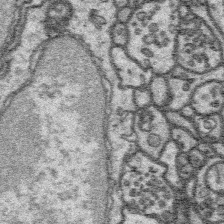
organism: Platynereis dumerilii